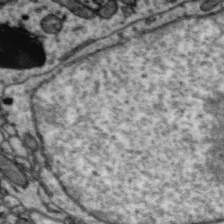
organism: Zebra finch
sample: Brain